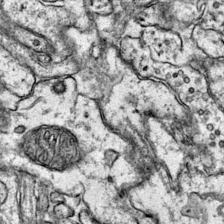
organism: Mouse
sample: Primary visual cortex